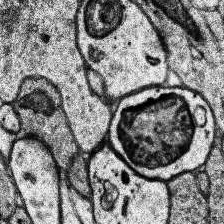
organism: Human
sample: Temporal Lobe